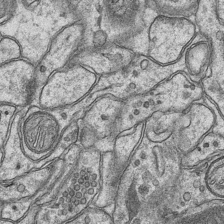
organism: Mouse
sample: CA1 Hippocampus